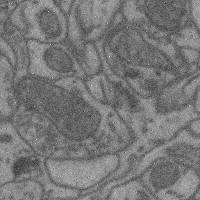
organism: Mouse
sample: Cerebral cortex